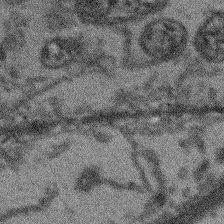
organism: Arabidopsis thaliana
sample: Root tip